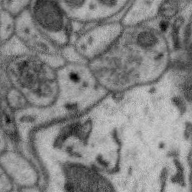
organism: Zebra finch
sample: Brain